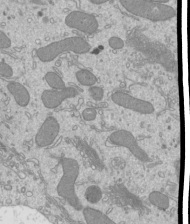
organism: Mouse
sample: Cilia; mouse epididymis